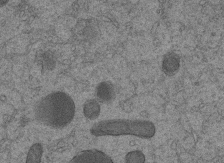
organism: C. elegans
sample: C. elegans embryo early stage